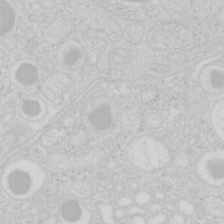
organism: Mouse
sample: Pancreas